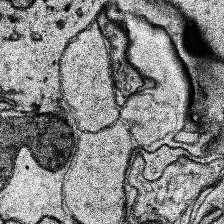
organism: Human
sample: Temporal Lobe